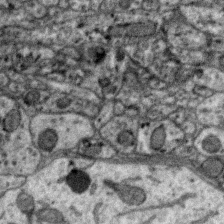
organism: Zebra finch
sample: Brain